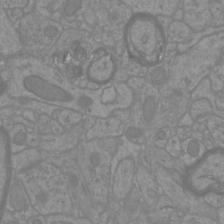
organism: Mouse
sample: Cortical neurons